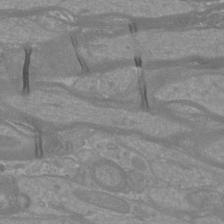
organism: Mouse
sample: Cortical neurons